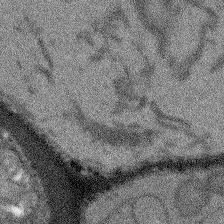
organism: Arabidopsis thaliana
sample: Root tip